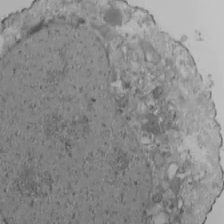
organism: Human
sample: Jurkat E6-1 and CD4 cells